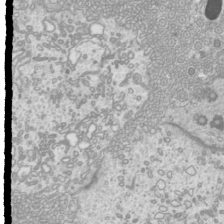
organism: Mouse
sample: Cilia; mouse epididymis